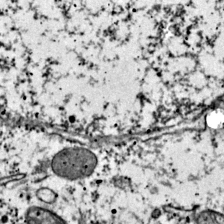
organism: Mouse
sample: Primary visual cortex